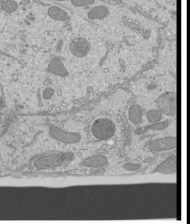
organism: Mouse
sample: Cilia; mouse epididymis